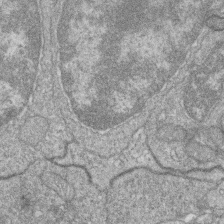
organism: Zebrafish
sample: Cilia; retinal pigment epithelium